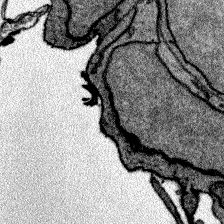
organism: Zebrafish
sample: Larval olfactory bulb